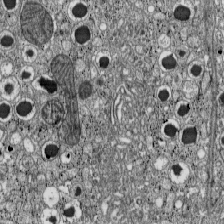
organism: C57BL Mouse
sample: Pancreatic islet